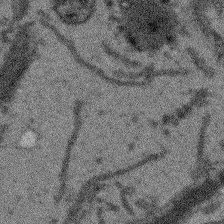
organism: Arabidopsis thaliana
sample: Root tip